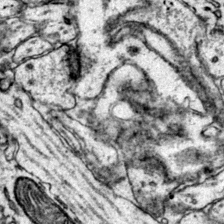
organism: Mouse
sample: Primary visual cortex